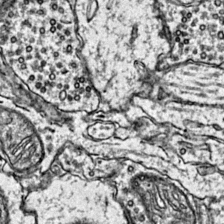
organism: Mouse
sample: Primary visual cortex